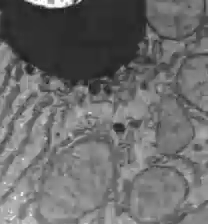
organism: C57BL Mouse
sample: Liver